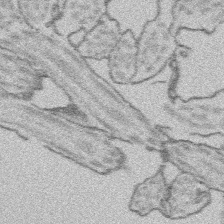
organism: Platynereis dumerilii